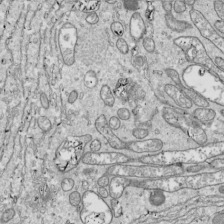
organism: Drosophila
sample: Cell division; meiosis; drosophila spermatocytes